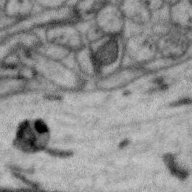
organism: Zebra finch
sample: Brain